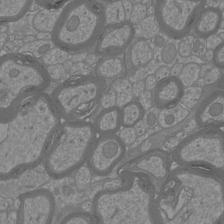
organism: Mouse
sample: Cortical neurons